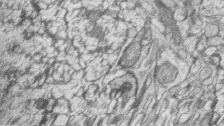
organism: Zebrafish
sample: synaptic ribbons in rod cells and cone cells